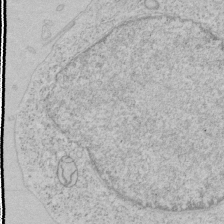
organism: Human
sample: Mitochondria in HCT116 cells